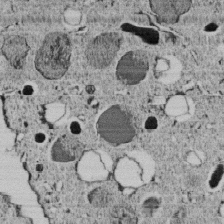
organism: C. elegans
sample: C. elegans embryo early stage